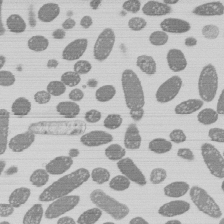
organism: E. coli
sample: Bacterial nucleoid